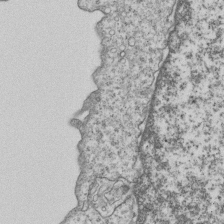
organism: Human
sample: MDA-MB-231 cells